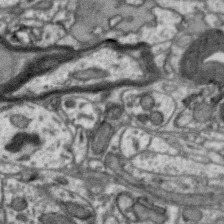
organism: Zebra finch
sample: Brain